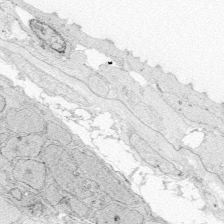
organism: Zebrafish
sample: Whole-Brain